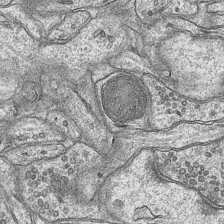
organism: Mouse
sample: CA1 Hippocampus